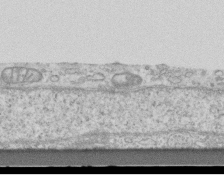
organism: Mouse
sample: Centriole in ependymal cells